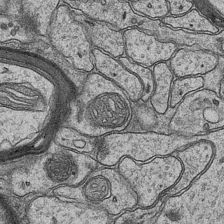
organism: Mouse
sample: CA1 Hippocampus